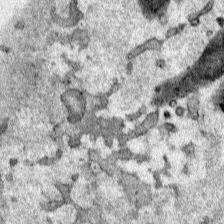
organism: Human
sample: Mitochondria in HCT116 cells